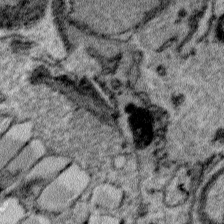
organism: Plasmodium falciparum